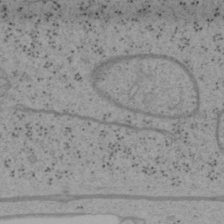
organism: Human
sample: HeLa cells